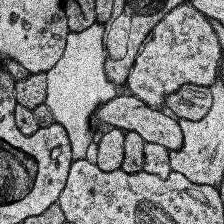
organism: Human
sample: Temporal Lobe